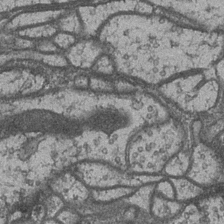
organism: Drosophila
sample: Optic medulla